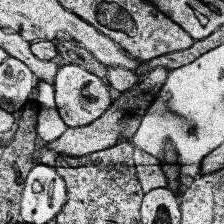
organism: Human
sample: Temporal Lobe